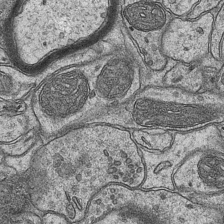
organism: Mouse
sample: CA1 Hippocampus